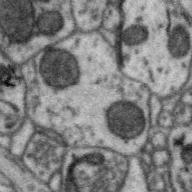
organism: Zebra finch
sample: Brain